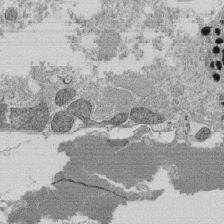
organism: Tetrahymena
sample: Cilia in tetrahymena